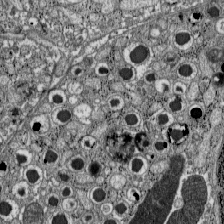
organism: C57BL Mouse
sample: Pancreatic islet